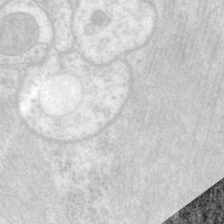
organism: P. pacificus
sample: Pharynx